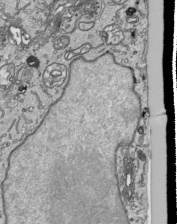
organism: Human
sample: Mitochondria in HCT116 cells